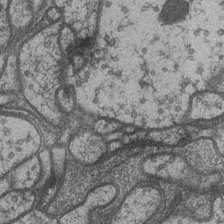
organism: Drosophila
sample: Optic medulla